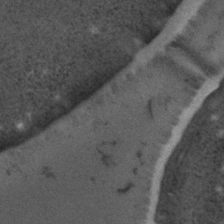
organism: C. elegans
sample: C. elegans embryo